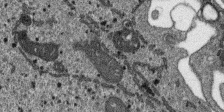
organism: Human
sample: Lung epithelial cells infected with SARS-CoV-2